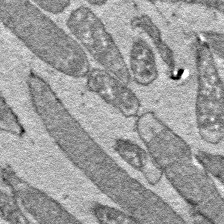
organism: E. coli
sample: E. Coli Bacteria